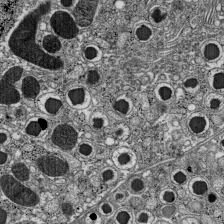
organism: C57BL Mouse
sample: Pancreatic islet